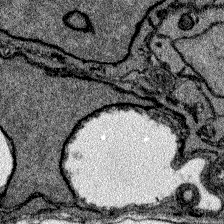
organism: Zebrafish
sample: Larval olfactory bulb